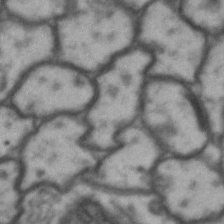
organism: Drosophila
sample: Brain